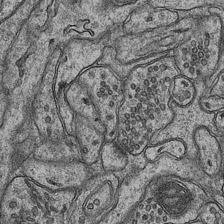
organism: Mouse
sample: CA1 Hippocampus